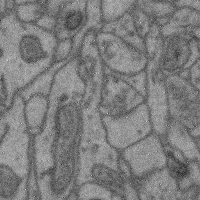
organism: Mouse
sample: Cerebral cortex